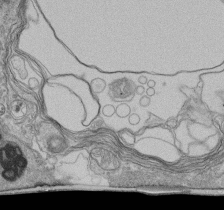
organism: Human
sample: Retinal organoid Rod and Cone cells